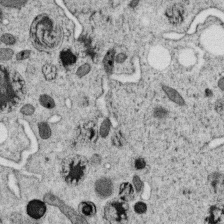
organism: C. elegans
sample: C. elegans oocyte; sperm cells